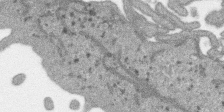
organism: Human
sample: Lung epithelial cells infected with SARS-CoV-2